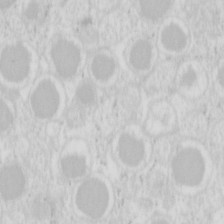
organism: Mouse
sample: Pancreas